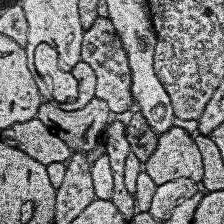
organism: Human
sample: Temporal Lobe